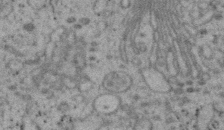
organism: Human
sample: HeLa cells